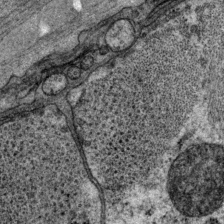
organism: P. pacificus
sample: Pharynx